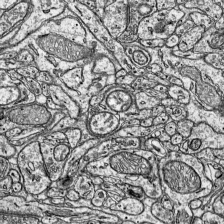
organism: Mouse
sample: Visual Cortex